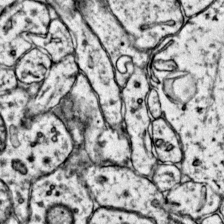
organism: Mouse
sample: Primary visual cortex